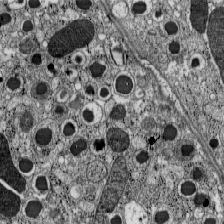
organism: C57BL Mouse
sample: Pancreatic islet